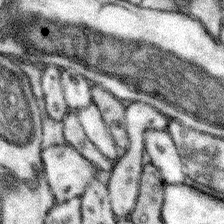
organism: Mouse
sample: Somatosensory cortex neuropil